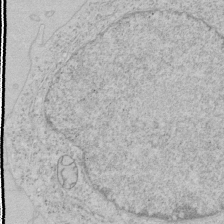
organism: Human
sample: Mitochondria in HCT116 cells